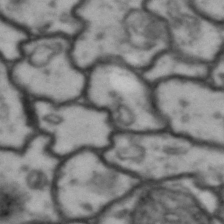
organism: Drosophila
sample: Brain